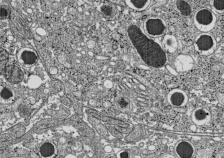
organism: C57BL Mouse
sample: Pancreatic islet